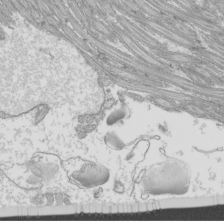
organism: Mouse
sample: Cilia; mouse epididymis